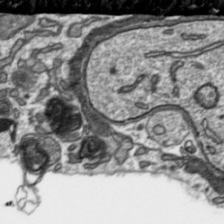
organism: Toxoplasma gondii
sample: Parasites in a vacuole inside a host cell